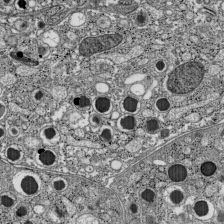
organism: C57BL Mouse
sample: Pancreatic islet